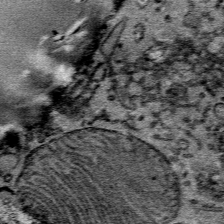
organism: Mouse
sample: Mouse Salivary gland